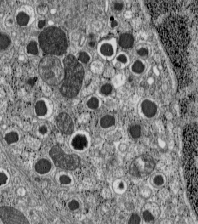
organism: C57BL Mouse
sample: Pancreatic islet